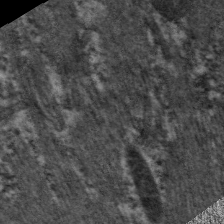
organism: C. elegans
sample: Pharynx